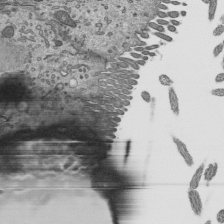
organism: Mouse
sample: Mouse epididymis efferent ductule cilia